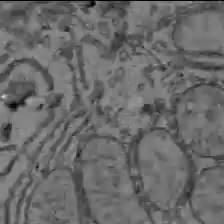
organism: C57BL Mouse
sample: Liver